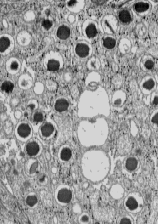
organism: C57BL Mouse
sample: Pancreatic islet